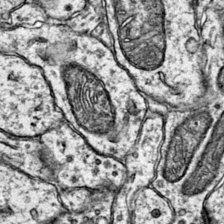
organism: Mouse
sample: Primary visual cortex